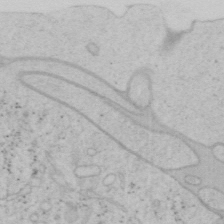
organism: Human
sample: HeLa cells